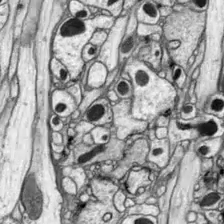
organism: Drosophila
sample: Optic lobe